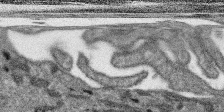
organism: Human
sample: Lung epithelial cells infected with SARS-CoV-2